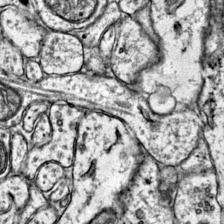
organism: Mouse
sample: Primary visual cortex